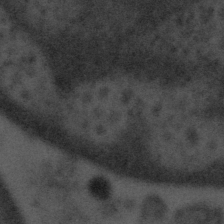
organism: Tuwongella immobilis